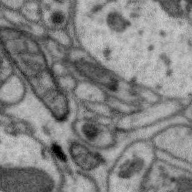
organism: Zebra finch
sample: Brain